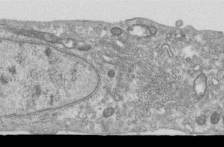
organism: Human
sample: Centriole in RPE cells